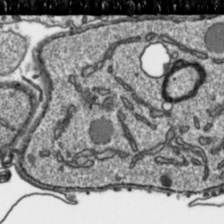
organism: Toxoplasma gondii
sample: Parasites in a vacuole inside a host cell